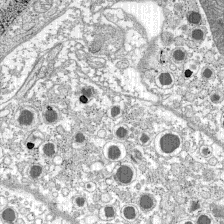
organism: C57BL Mouse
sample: Pancreatic islet